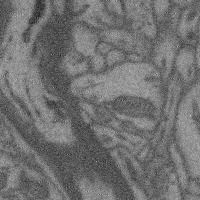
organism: Mouse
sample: Cerebral cortex